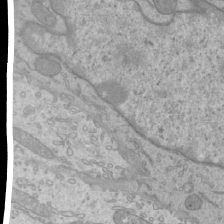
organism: Mouse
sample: Cilia; mouse epididymis